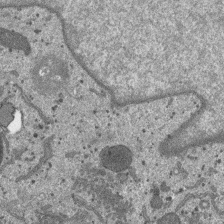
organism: Human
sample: Lung epithelial cells infected with SARS-CoV-2